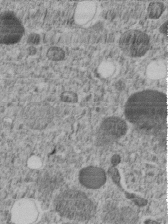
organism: C. elegans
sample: C. elegans embryo early stage